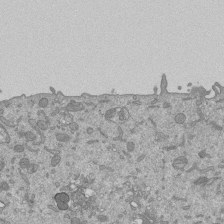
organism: Mouse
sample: ED-1 cell nuclei; centrioles